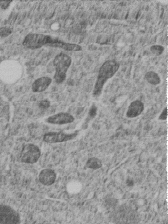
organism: C. elegans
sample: C. elegans embryo early stage